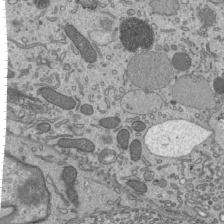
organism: Mouse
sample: Mouse epididymis efferent ductule cilia